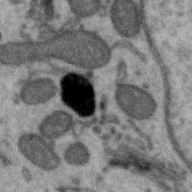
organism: Zebra finch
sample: Brain